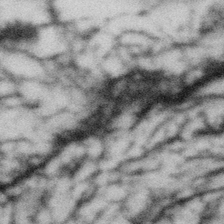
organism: Gemmata obscuriglobus